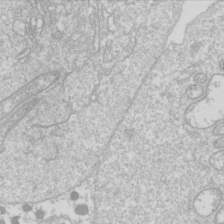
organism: Drosophila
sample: Cell division; meiosis; drosophila spermatocytes